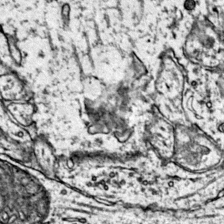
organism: Mouse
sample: Primary visual cortex